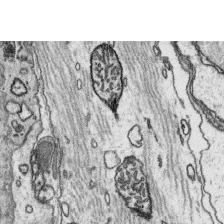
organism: Platynereis dumerilii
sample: Parapodia